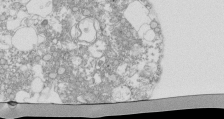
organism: Mouse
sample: Activated Pmel transgenic CD8+ T Cells